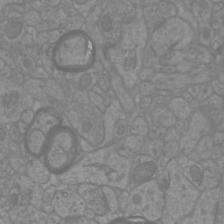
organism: Mouse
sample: Cortical neurons